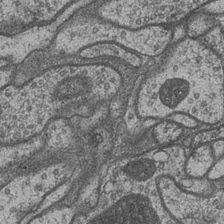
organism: Drosophila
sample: Optic medulla